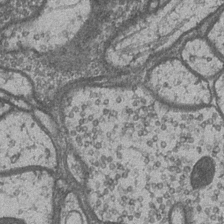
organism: Drosophila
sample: Optic medulla